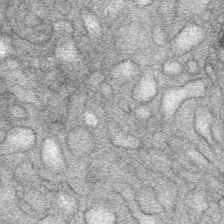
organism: Mouse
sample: Mouse Salivary gland